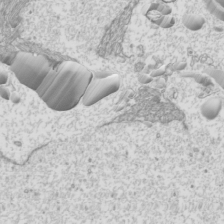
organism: Mouse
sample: Cilia; mouse epididymis